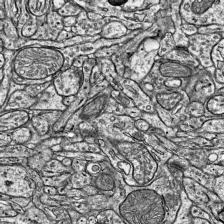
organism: Mouse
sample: Visual Cortex